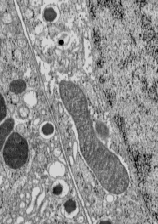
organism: C57BL Mouse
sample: Pancreatic islet